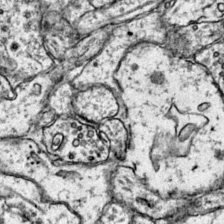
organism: Mouse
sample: Primary visual cortex